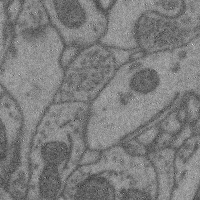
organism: Mouse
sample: Cerebral cortex